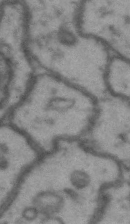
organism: Drosophila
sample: Brain